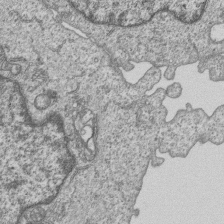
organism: Human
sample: MDA-MB-231 cells